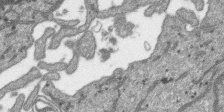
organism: Human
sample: Lung epithelial cells infected with SARS-CoV-2